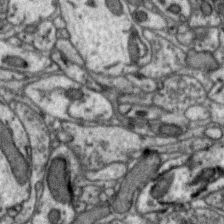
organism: Zebra finch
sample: Brain